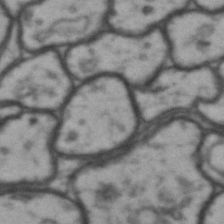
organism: Drosophila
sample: Brain